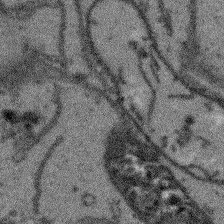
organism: Arabidopsis thaliana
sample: Root tip